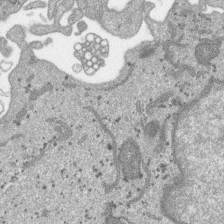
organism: Human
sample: Lung epithelial cells infected with SARS-CoV-2